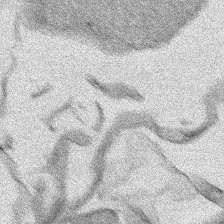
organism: Human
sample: Mitochondria in HCT116 cells